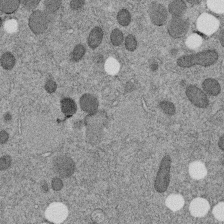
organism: C. elegans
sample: C. elegans embryo early stage